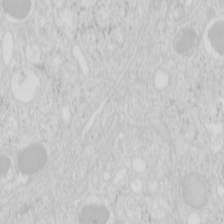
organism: Mouse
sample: Pancreas